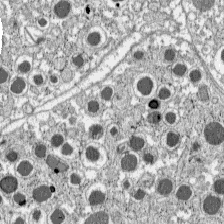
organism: C57BL Mouse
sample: Pancreatic islet